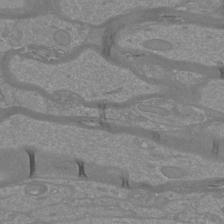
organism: Mouse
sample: Cortical neurons